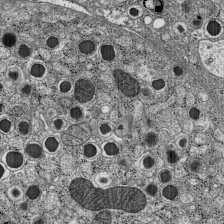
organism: C57BL Mouse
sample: Pancreatic islet